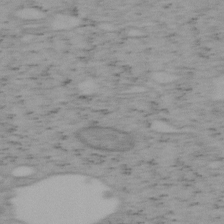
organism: Mouse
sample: OT-I killer T cells with ID8 ovarian cancer cells